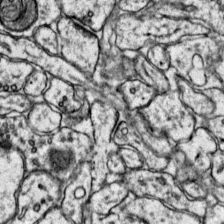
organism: Mouse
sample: Primary visual cortex